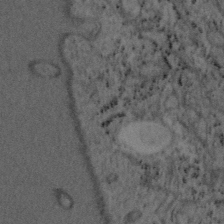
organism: Human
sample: HeLa cells